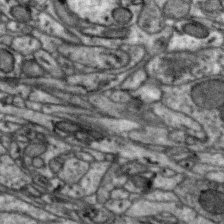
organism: Zebra finch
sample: Brain